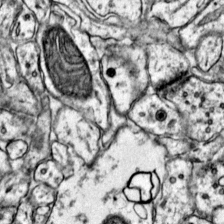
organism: Mouse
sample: Primary visual cortex